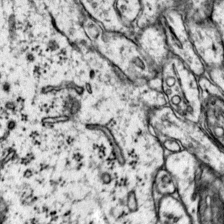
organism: Mouse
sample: Primary visual cortex